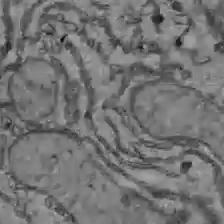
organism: C57BL Mouse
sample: Liver